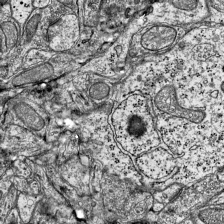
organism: Mouse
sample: Visual Cortex